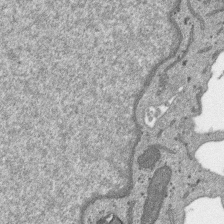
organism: Human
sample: Lung epithelial cells infected with SARS-CoV-2